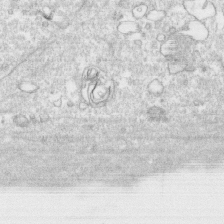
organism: Human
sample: CRL-1474